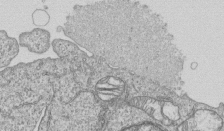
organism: Human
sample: MDA-MB-231 cells